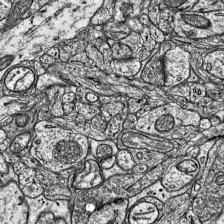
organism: Mouse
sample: Visual Cortex